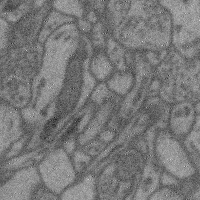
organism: Mouse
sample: Cerebral cortex